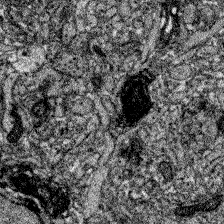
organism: Zebrafish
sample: Larval olfactory bulb